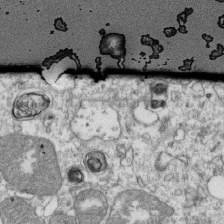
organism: Mouse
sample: Activated OT-1 CD8+ T cells